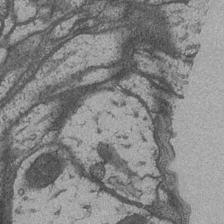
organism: Drosophila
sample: Optic medulla